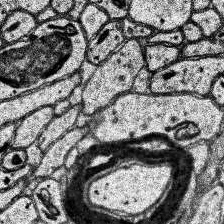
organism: Human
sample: Temporal Lobe